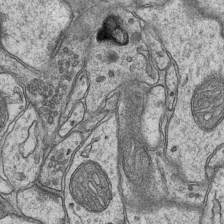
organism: Mouse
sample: CA1 Hippocampus